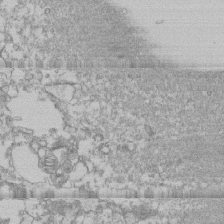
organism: Human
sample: CRL-1474